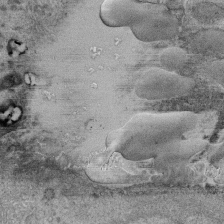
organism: Human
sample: Retinal organoid Rod and Cone cells